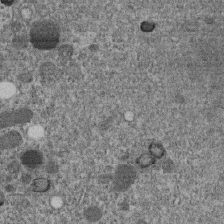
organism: C. elegans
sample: C. elegans embryo early stage